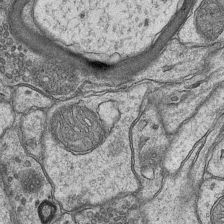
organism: Mouse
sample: CA1 Hippocampus